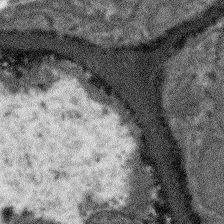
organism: Arabidopsis thaliana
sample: Root tip